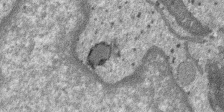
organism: Human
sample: Lung epithelial cells infected with SARS-CoV-2